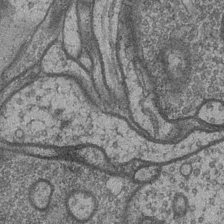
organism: Drosophila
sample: Optic medulla